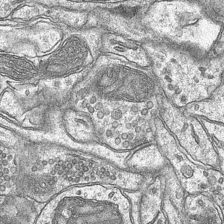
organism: Mouse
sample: CA1 Hippocampus